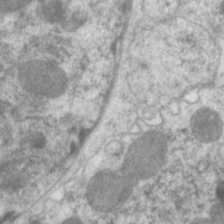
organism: C. elegans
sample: Pharynx